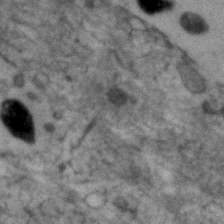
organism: Human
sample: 1205lu cells